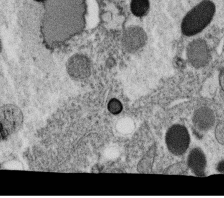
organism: C. elegans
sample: C. elegans oocyte; sperm cells